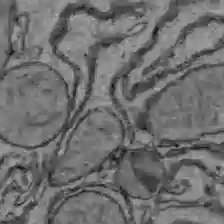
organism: C57BL Mouse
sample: Liver